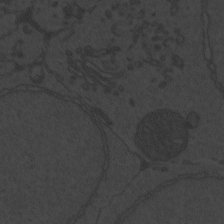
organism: Zebrafish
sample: Macrophage infected with Toxoplasma gondii